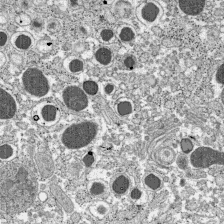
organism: C57BL Mouse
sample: Pancreatic islet